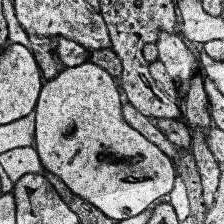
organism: Human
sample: Temporal Lobe